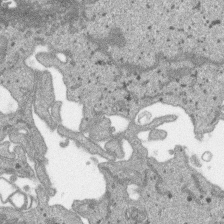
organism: Human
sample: Lung epithelial cells infected with SARS-CoV-2